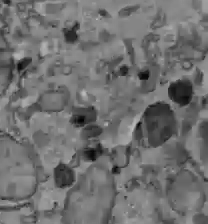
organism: C57BL Mouse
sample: Liver